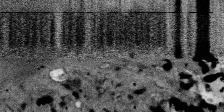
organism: Human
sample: Lung epithelial cells, uninfected (mock) control